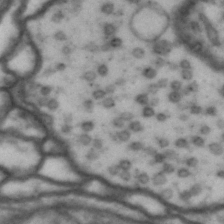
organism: Drosophila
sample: Brain